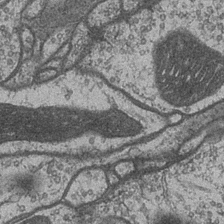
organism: Drosophila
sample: Optic medulla